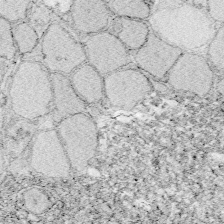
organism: Zebrafish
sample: Whole-Brain